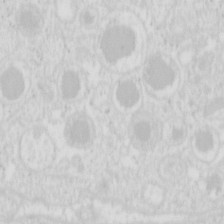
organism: Mouse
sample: Pancreas